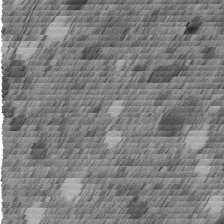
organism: C. elegans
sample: C. elegans embryo early stage